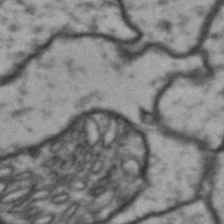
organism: Drosophila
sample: Brain